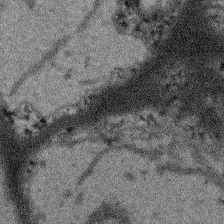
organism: Arabidopsis thaliana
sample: Root tip